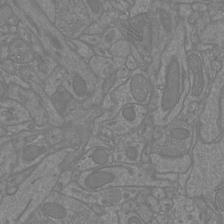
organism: Mouse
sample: Cortical neurons